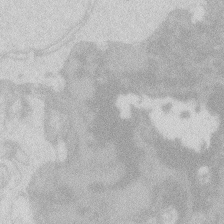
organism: Zebrafish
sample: Macrophage